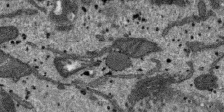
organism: Human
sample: Lung epithelial cells, uninfected (mock) control